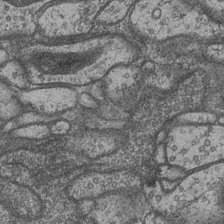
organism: Drosophila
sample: Optic medulla